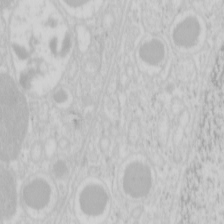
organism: Mouse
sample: Pancreas